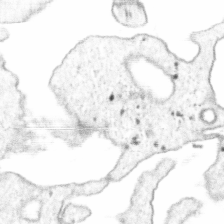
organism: Human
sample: HeLa cells